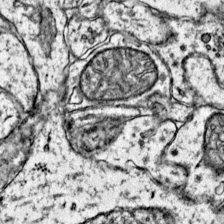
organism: Mouse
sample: Primary visual cortex